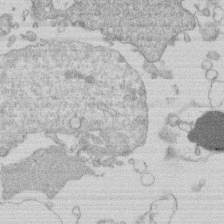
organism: Human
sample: Macrophage cells